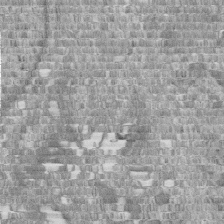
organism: Human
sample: Centriole in fibroblast cells